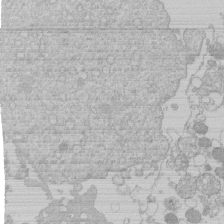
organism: Human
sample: Macrophage cells